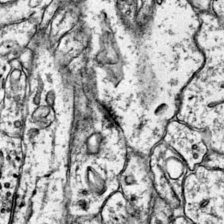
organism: Mouse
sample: Primary visual cortex